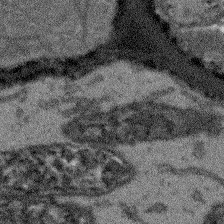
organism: Arabidopsis thaliana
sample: Root tip